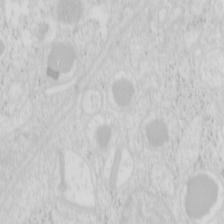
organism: Mouse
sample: Pancreas